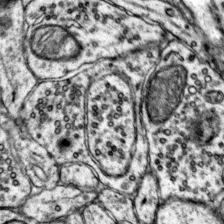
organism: Mouse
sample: Primary visual cortex